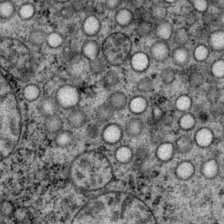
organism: P. pacificus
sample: Pharynx